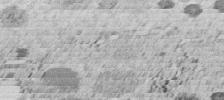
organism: C. elegans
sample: C. elegans embryo early stage